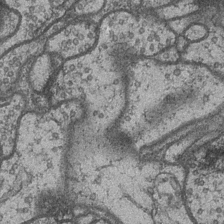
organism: Drosophila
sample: Optic medulla